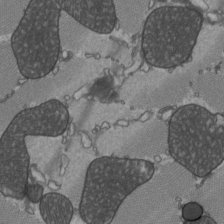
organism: C57BL Mouse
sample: Heart